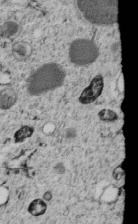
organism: C. elegans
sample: C. elegans embryo early stage